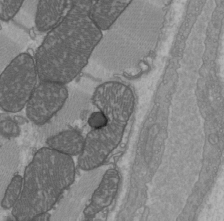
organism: C57BL Mouse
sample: Heart